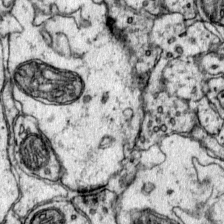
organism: Mouse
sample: Primary visual cortex